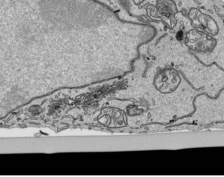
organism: Human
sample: Mitochondria in HCT116 cells